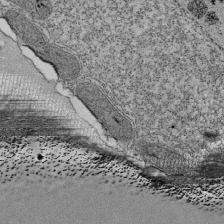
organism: Tetrahymena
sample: Cilia in tetrahymena